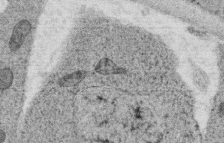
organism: C. elegans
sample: C. elegans oocyte; sperm cells